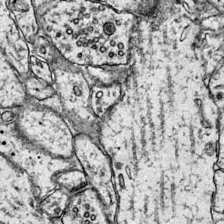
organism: Mouse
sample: Primary visual cortex